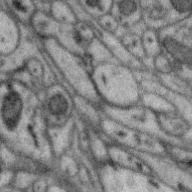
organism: Zebra finch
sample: Brain